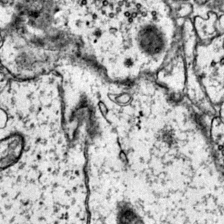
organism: Mouse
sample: Primary visual cortex